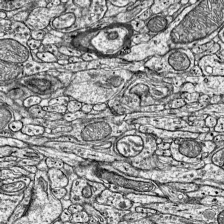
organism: Mouse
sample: Visual Cortex